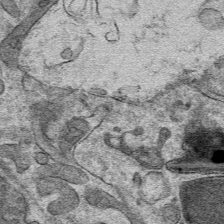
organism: Mouse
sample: Mouse hepatocytes